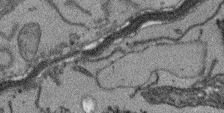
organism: Arabidopsis thaliana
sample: Root tip